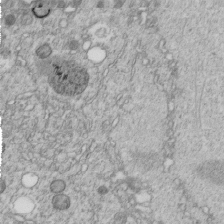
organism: C. elegans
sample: C. elegans embryo early stage